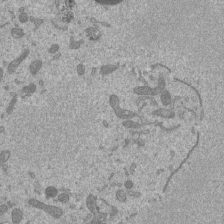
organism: Mouse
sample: ED-1 cell nuclei; centrioles